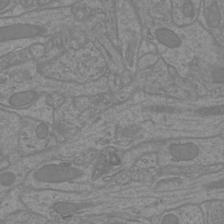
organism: Mouse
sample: Cortical neurons